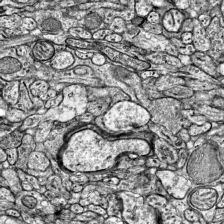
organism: Mouse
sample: Visual Cortex